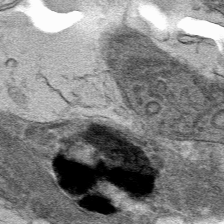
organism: Mouse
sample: Mouse hepatocytes